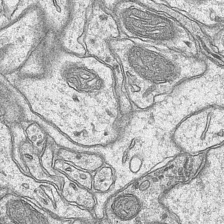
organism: Mouse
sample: CA1 Hippocampus